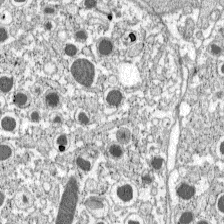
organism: C57BL Mouse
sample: Pancreatic islet